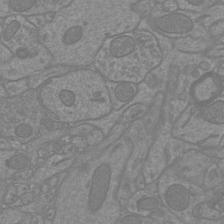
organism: Mouse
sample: Cortical neurons